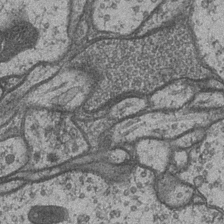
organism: Drosophila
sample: Optic medulla